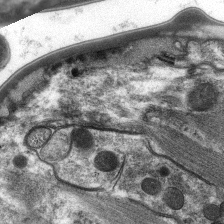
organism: C. elegans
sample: Pharynx